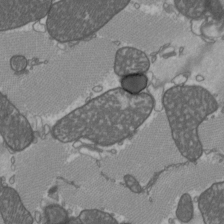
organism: C57BL Mouse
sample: Heart